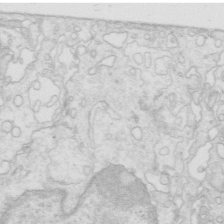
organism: Mouse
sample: Multiciliated cells